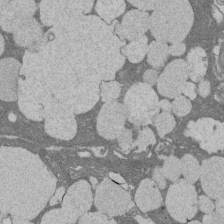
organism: Rat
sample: Salivary granule